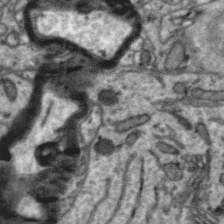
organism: Zebra finch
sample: Brain